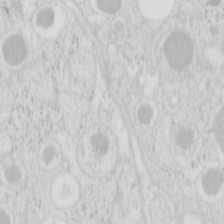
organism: Mouse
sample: Pancreas